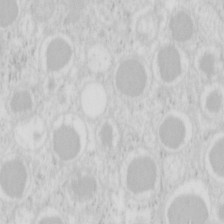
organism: Mouse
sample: Pancreas